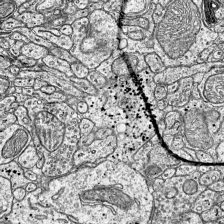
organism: Mouse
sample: Visual Cortex